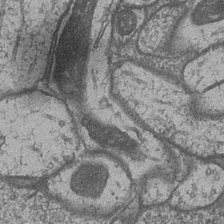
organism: Drosophila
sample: Optic medulla